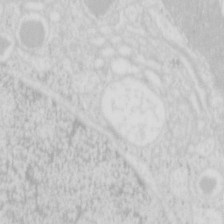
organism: Mouse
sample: Pancreas